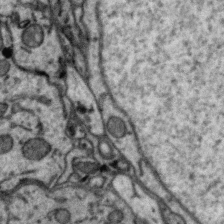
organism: Zebra finch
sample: Brain